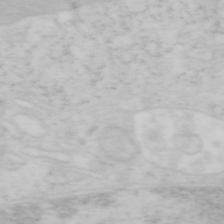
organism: Mouse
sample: OT-I killer T cells with ID8 ovarian cancer cells